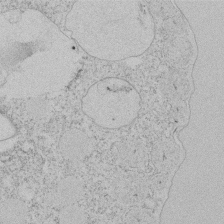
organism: Tetrahymena